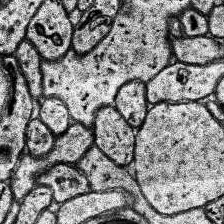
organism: Human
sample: Temporal Lobe